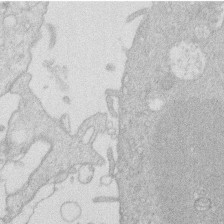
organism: Human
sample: Macrophage cells